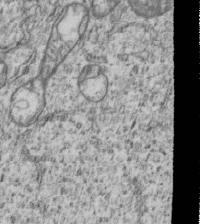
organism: Human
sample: MDA-MB-231 cells